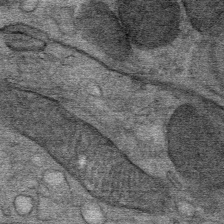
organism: Mouse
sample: Mouse Salivary gland